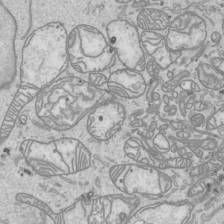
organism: Human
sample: Mitochondria in HCT116 cells